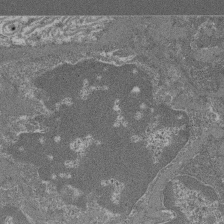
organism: Mouse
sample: Glomerulus